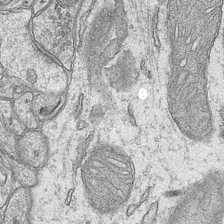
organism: Mouse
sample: CA1 Hippocampus